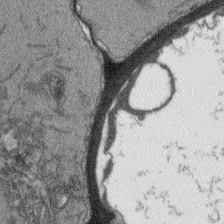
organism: Arabidopsis thaliana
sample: Root tip